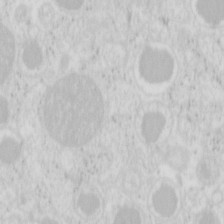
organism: Mouse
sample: Pancreas